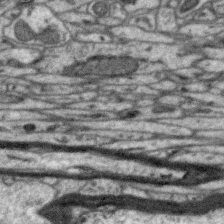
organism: Zebra finch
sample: Brain